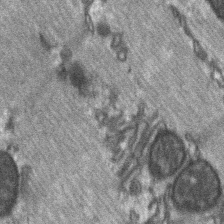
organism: C57BL Mouse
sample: Soleus